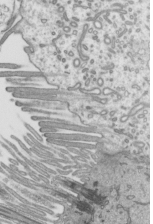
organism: Mouse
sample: Mouse epididymis efferent ductule cilia